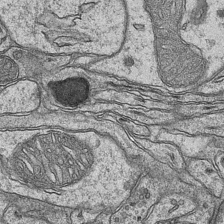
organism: Mouse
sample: CA1 Hippocampus